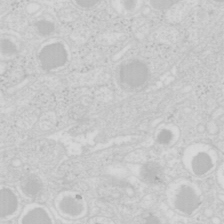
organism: Mouse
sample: Pancreas